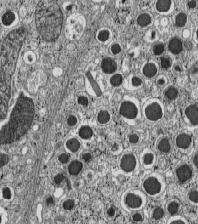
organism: C57BL Mouse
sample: Pancreatic islet